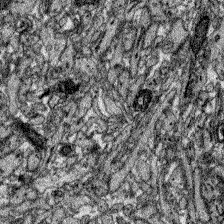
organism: Zebrafish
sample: Larval olfactory bulb